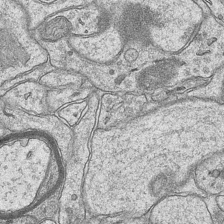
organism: Mouse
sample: CA1 Hippocampus